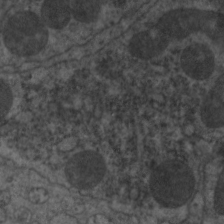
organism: C. elegans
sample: Pharynx